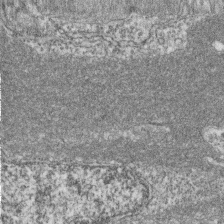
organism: Zebrafish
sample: Cilia; retinal pigment epithelium